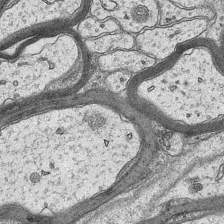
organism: Mouse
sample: CA1 Hippocampus